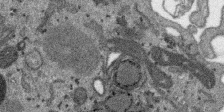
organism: Human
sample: Lung epithelial cells infected with SARS-CoV-2